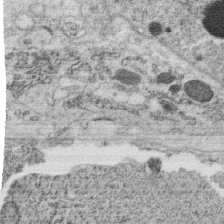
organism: C. elegans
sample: C. elegans oocyte; sperm cells